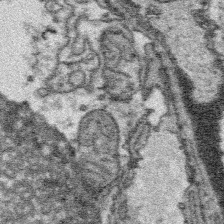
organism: Platynereis dumerilii